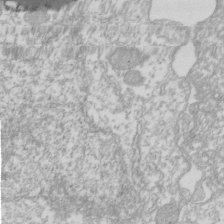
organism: Xenopus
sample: Cilia; centrioles in frog embryo cells